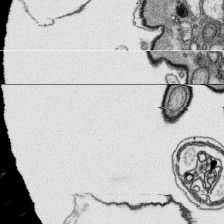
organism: Platynereis dumerilii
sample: Parapodia